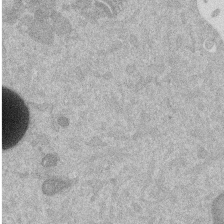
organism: Mouse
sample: Dividing mouse embryo 1 cell stage